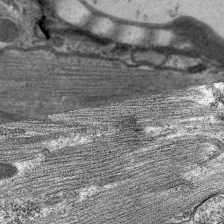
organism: C. elegans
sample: Pharynx